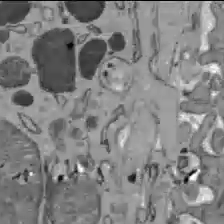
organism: C57BL Mouse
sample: Liver